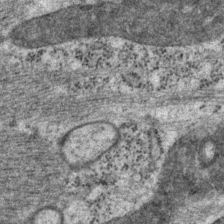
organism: P. pacificus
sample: Pharynx